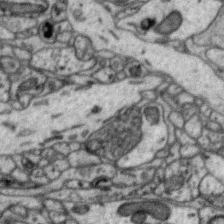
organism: Zebra finch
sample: Brain